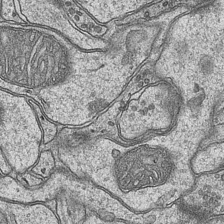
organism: Mouse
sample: CA1 Hippocampus